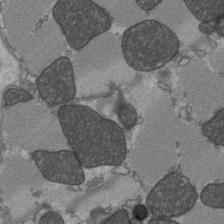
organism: C57BL Mouse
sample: Heart